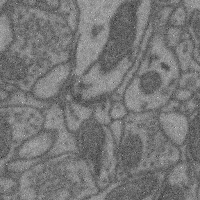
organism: Mouse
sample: Cerebral cortex